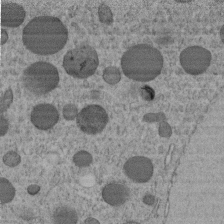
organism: C. elegans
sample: C. elegans embryo early stage